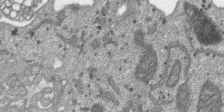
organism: Human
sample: Lung epithelial cells infected with SARS-CoV-2